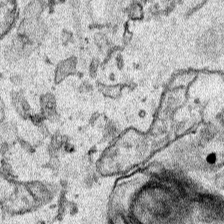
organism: Human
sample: Mitochondria in HCT116 cells